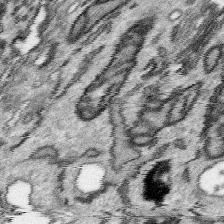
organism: Human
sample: HeLa cells